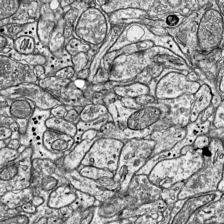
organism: Mouse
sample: Visual Cortex